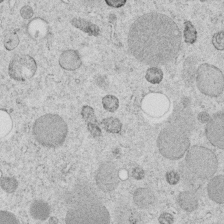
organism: C. elegans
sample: C. elegans embryo early stage